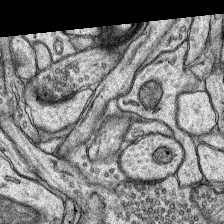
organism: Rat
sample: Hippocampus